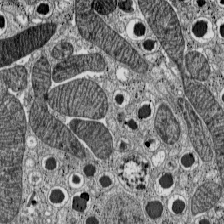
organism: C57BL Mouse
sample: Pancreatic islet